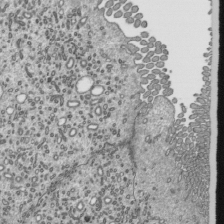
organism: Mouse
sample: Mouse epididymis efferent ductule cilia